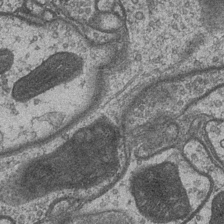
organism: Drosophila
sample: Optic medulla